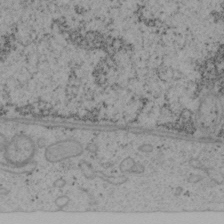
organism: Human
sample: HeLa cells